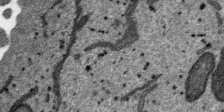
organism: Human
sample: Lung epithelial cells, uninfected (mock) control